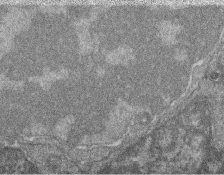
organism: Zebrafish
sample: Cilia; retinal pigment epithelium